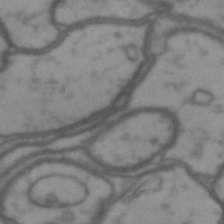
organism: Drosophila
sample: Brain